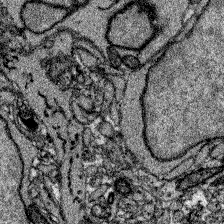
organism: Zebrafish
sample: Larval olfactory bulb